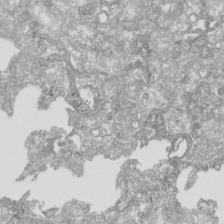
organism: Human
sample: Mitochondria in HCT116 cells